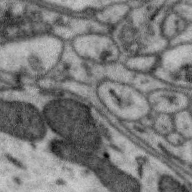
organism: Zebra finch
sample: Brain